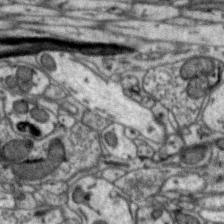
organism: Zebra finch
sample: Brain